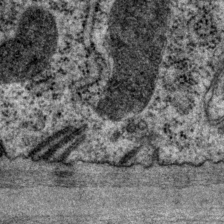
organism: P. pacificus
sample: Pharynx